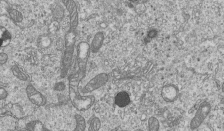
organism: Human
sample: MDA-MB-231 cells